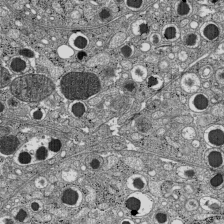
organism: C57BL Mouse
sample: Pancreatic islet